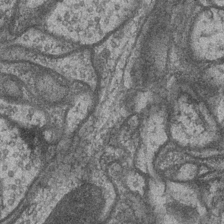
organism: Drosophila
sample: Optic medulla